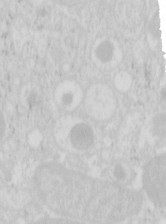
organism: Mouse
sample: Pancreas